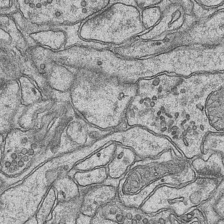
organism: Mouse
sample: CA1 Hippocampus